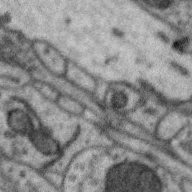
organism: Zebra finch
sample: Brain